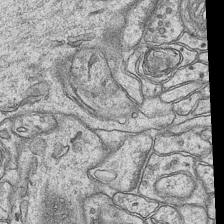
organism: Mouse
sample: CA1 Hippocampus